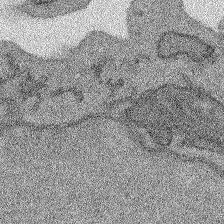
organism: Human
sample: HeLa cells